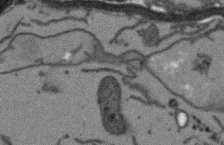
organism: Arabidopsis thaliana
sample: Root tip